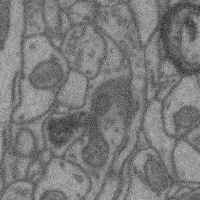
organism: Mouse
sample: Cerebral cortex